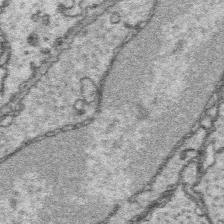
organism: Platynereis dumerilii